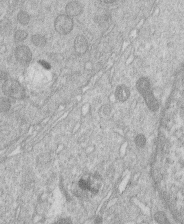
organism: Human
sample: Macrophage cells